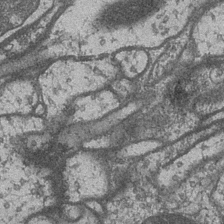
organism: Drosophila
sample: Optic medulla